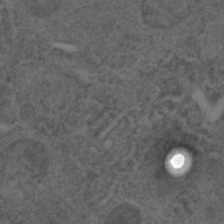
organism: C. elegans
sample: C. elegans embryo